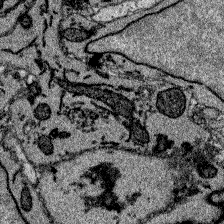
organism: Zebrafish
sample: Larval olfactory bulb